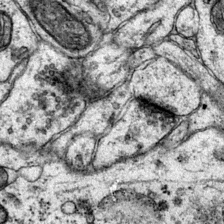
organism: Mouse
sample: Primary visual cortex